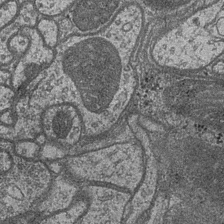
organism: Drosophila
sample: Optic medulla